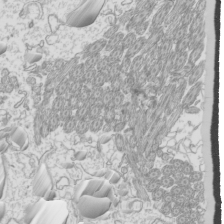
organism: Mouse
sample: Cilia; mouse epididymis